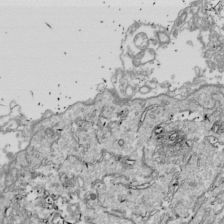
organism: Drosophila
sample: Cell division; meiosis; drosophila spermatocytes